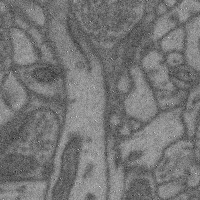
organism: Mouse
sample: Cerebral cortex